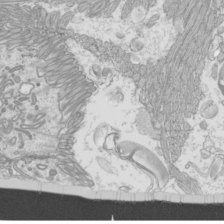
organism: Mouse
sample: Cilia; mouse epididymis